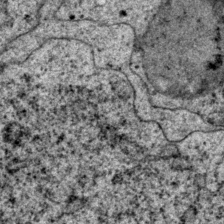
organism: P. pacificus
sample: Pharynx